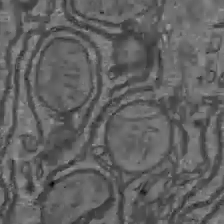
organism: C57BL Mouse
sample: Liver